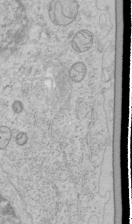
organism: Human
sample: Mitochondria in HCT116 cells